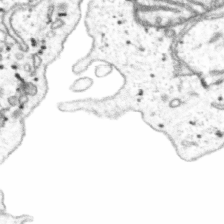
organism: Human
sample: HeLa cells